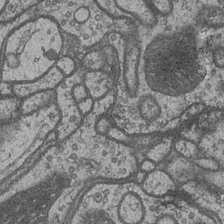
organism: Drosophila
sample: Optic medulla